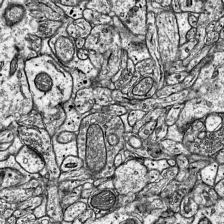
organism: Mouse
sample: Visual Cortex